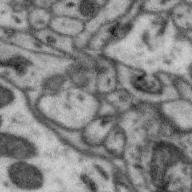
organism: Zebra finch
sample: Brain